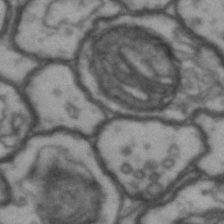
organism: Drosophila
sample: Brain